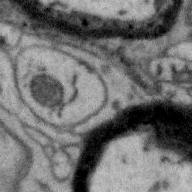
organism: Zebra finch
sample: Brain